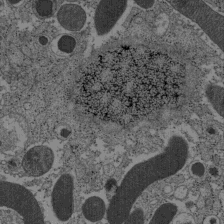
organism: C57BL Mouse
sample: Pancreatic islet